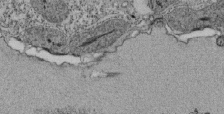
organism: Tetrahymena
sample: Cilia in tetrahymena